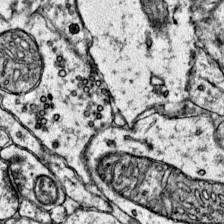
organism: Mouse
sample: Primary visual cortex